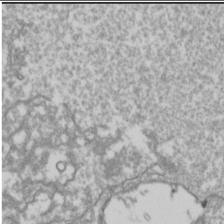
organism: Drosophila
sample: Cell division; meiosis; drosophila spermatocytes